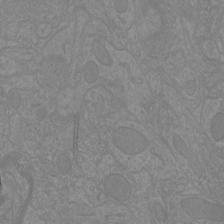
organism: Mouse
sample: Cortical neurons